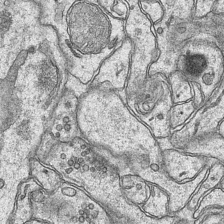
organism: Mouse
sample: CA1 Hippocampus